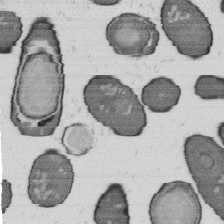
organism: B. subtilis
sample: Bacterial spore